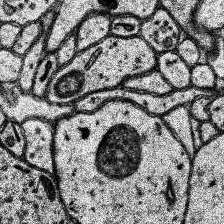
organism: Human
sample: Temporal Lobe